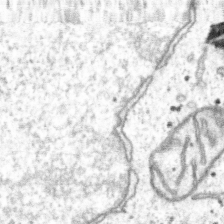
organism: Human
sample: HeLa cells